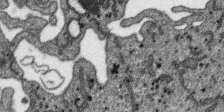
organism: Human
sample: Lung epithelial cells infected with SARS-CoV-2